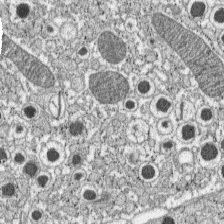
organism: C57BL Mouse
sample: Pancreatic islet